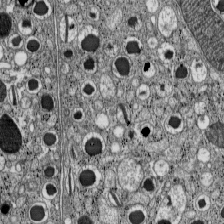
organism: C57BL Mouse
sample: Pancreatic islet